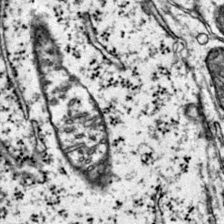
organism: Mouse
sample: Primary visual cortex